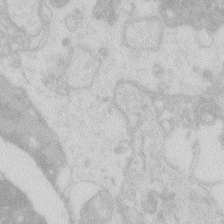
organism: Zebrafish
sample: Macrophage